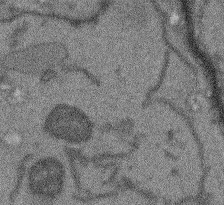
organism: Arabidopsis thaliana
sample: Root tip